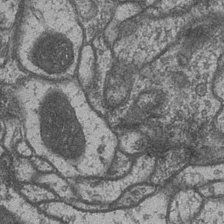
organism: Drosophila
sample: Optic medulla